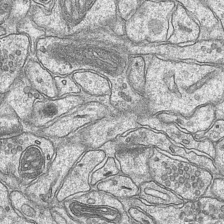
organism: Mouse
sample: CA1 Hippocampus